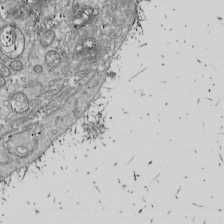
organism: Drosophila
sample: Cell division; meiosis; drosophila spermatocytes